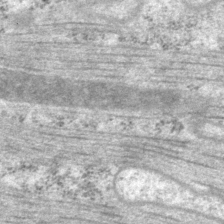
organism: P. pacificus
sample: Pharynx